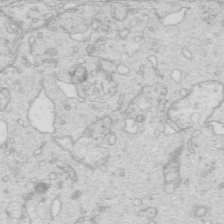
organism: Mouse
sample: Multiciliated cells